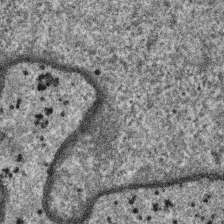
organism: Human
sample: Lung epithelial cells infected with SARS-CoV-2